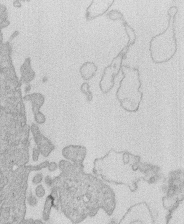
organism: Human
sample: Macrophage cells